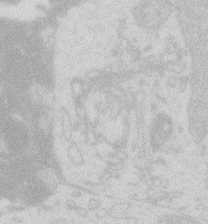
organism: Zebrafish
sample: Macrophage